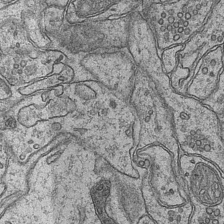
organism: Mouse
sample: CA1 Hippocampus